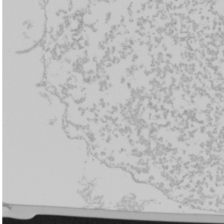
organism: Mouse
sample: Cancer cell death in ED-1 cells